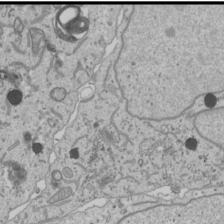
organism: Human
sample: Mitochondria in U2OS cells